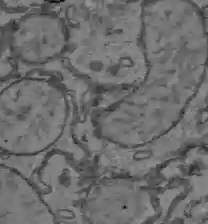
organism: C57BL Mouse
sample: Liver